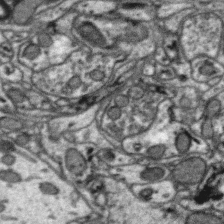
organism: Zebra finch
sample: Brain